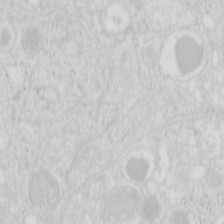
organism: Mouse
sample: Pancreas